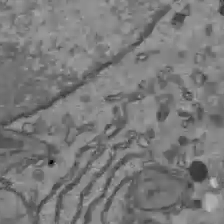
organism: C57BL Mouse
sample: Liver